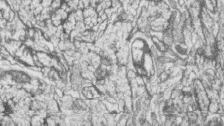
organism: Zebrafish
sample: synaptic ribbons in rod cells and cone cells